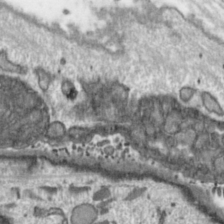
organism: Toxoplasma gondii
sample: Parasites in a vacuole inside a host cell